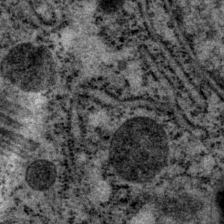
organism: P. pacificus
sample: Pharynx